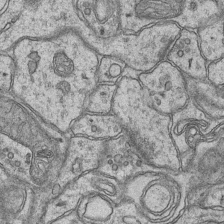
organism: Mouse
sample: CA1 Hippocampus